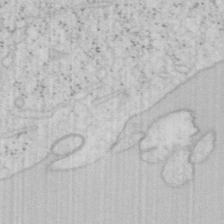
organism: Human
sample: HeLa cells